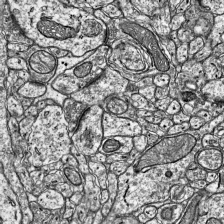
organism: Mouse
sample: Visual Cortex